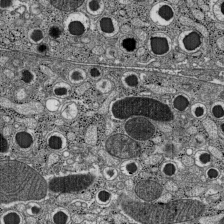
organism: C57BL Mouse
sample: Pancreatic islet